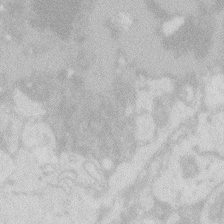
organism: Zebrafish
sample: Macrophage